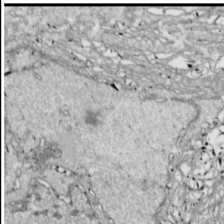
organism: Drosophila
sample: Cell division; meiosis; drosophila spermatocytes